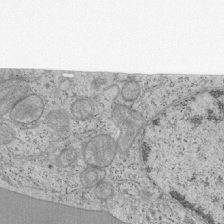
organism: Human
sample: HeLa cells